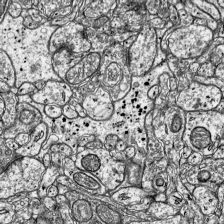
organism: Mouse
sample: Visual Cortex